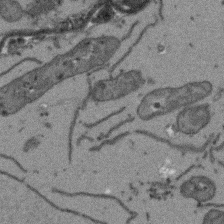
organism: Arabidopsis thaliana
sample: Root tip